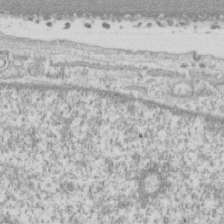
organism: Human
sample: CRL-1474